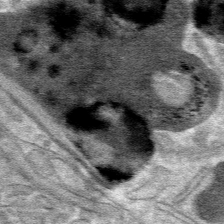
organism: Mouse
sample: Mouse hepatocytes